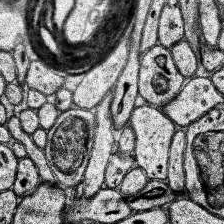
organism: Human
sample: Temporal Lobe